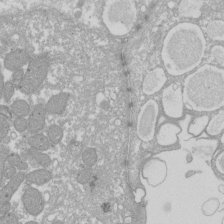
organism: Xenopus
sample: Cilia; centrioles in frog embryo cells